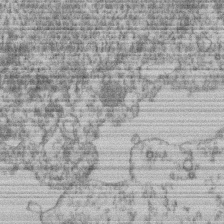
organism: Mouse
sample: T cell stromal cell synapse